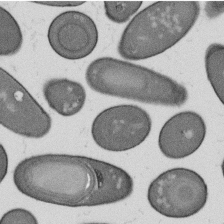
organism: B. subtilis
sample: Bacterial spore